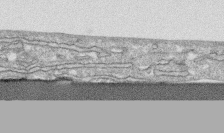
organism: Human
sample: CRL-1474